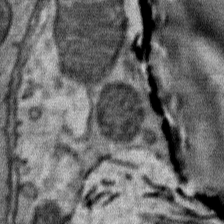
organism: Mouse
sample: Mouse Salivary gland